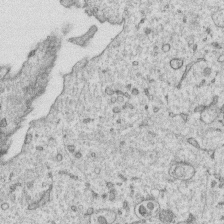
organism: Human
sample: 1205lu cells